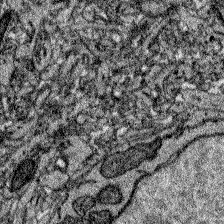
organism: Zebrafish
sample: Larval olfactory bulb